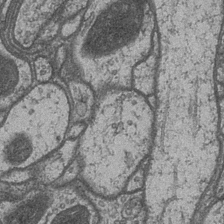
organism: Drosophila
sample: Optic medulla